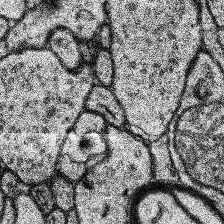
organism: Human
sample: Temporal Lobe